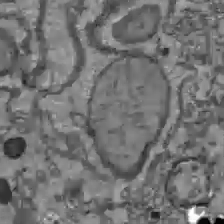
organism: C57BL Mouse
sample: Liver